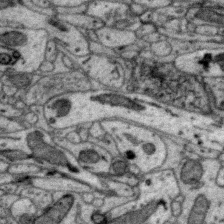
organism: Zebra finch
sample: Brain